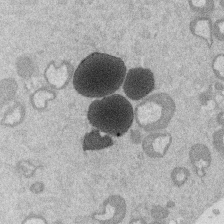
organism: Mouse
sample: Dividing mouse embryo 1 cell stage